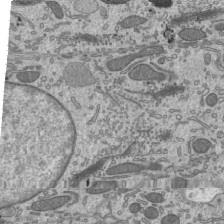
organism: Mouse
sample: Mouse epididymis efferent ductule cilia